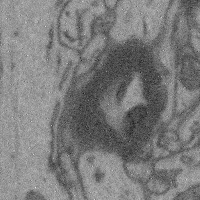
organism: Mouse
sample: Cerebral cortex